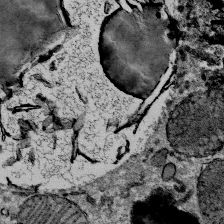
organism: Mouse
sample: Mouse Salivary gland